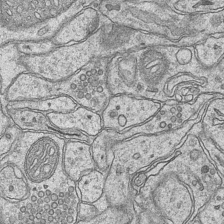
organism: Mouse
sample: CA1 Hippocampus